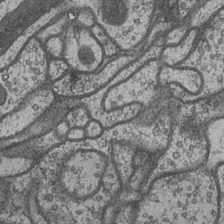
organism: Drosophila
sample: Optic medulla